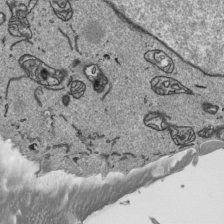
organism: Human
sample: Mitochondria in HCT116 cells